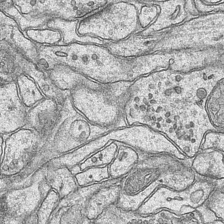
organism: Mouse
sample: CA1 Hippocampus